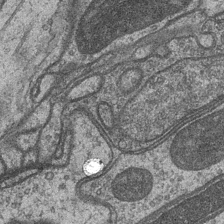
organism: Drosophila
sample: Optic medulla